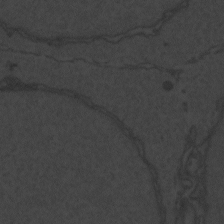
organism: Zebrafish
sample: Macrophage infected with Toxoplasma gondii